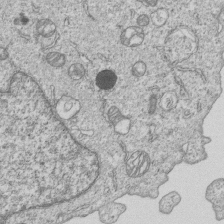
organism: Human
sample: MDA-MB-231 cells